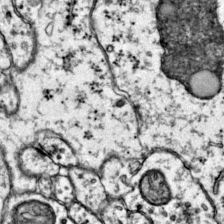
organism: Mouse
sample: Primary visual cortex